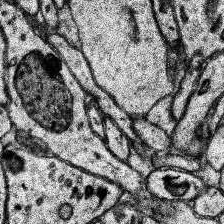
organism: Human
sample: Temporal Lobe